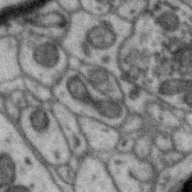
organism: Zebra finch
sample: Brain